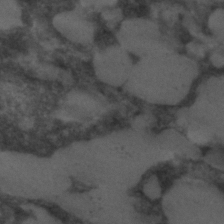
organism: C. elegans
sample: C. elegans embryo